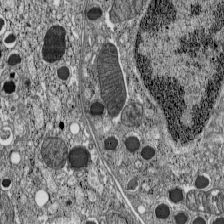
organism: C57BL Mouse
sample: Pancreatic islet